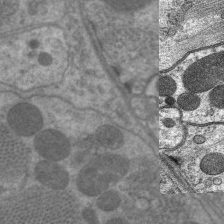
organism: C. elegans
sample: Pharynx